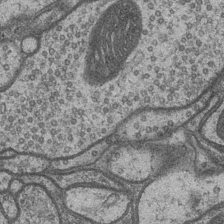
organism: Drosophila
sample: Optic medulla